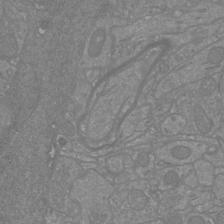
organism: Mouse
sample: Cortical neurons